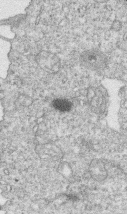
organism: Human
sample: HeLa cell HIV synapse